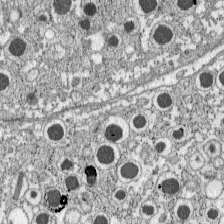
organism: C57BL Mouse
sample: Pancreatic islet